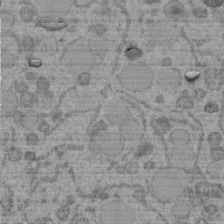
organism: C. elegans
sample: C. elegans embryo early stage